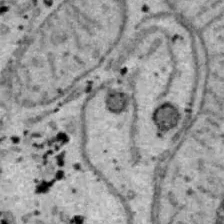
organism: Mouse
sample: Liver from an obese (ob/ob) mouse